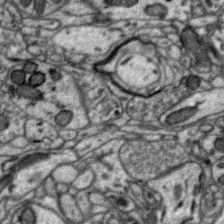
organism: Zebra finch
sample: Brain